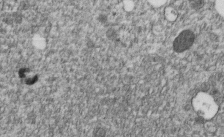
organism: C. elegans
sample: C. elegans embryo early stage